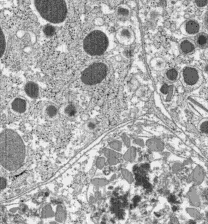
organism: C57BL Mouse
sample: Pancreatic islet